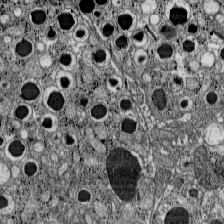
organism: C57BL Mouse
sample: Pancreatic islet